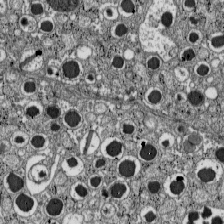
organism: C57BL Mouse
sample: Pancreatic islet